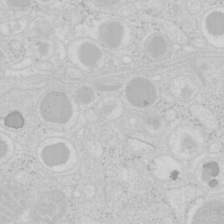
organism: Mouse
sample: Pancreas